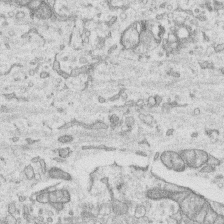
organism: Human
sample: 1205lu cells